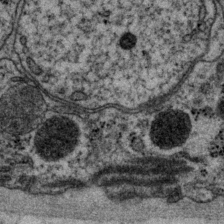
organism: P. pacificus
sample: Pharynx